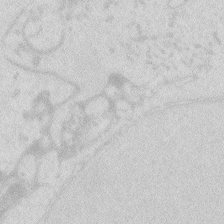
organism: Zebrafish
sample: Macrophage